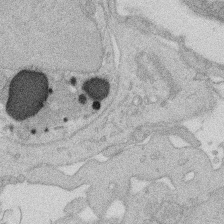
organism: Rat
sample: Salivary granule